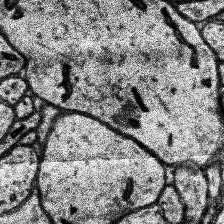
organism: Human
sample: Temporal Lobe